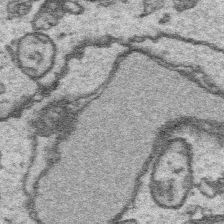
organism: Platynereis dumerilii